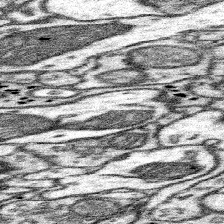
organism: Mouse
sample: Somatosensory cortex neuropil